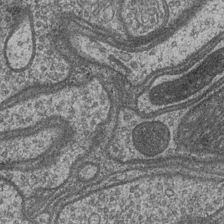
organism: Drosophila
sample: Optic medulla